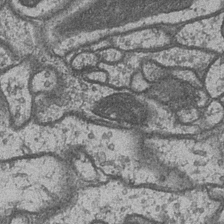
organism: Drosophila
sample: Optic medulla